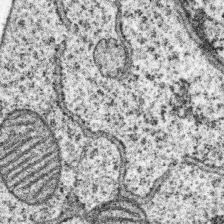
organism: Human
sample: HeLa cells